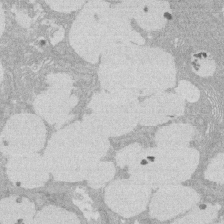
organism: Rat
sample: Salivary granule